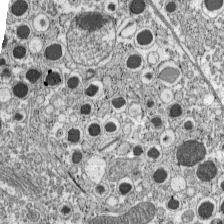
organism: C57BL Mouse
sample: Pancreatic islet